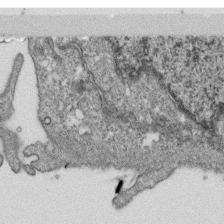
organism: African green monkey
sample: Vero E6 cells infected with SARS-CoV-2